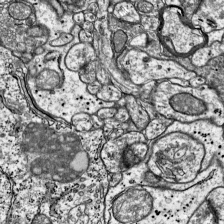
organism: Mouse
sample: Visual Cortex